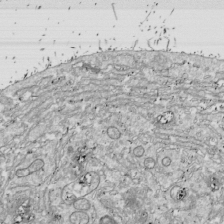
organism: Drosophila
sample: Cell division; meiosis; drosophila spermatocytes